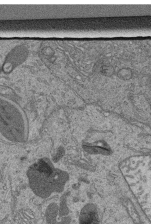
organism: Human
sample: Retinal organoid Rod and Cone cells